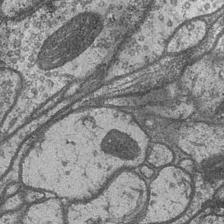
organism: Drosophila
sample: Optic medulla